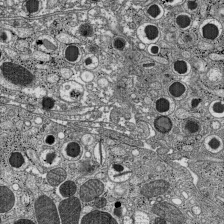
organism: C57BL Mouse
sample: Pancreatic islet